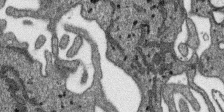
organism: Human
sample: Lung epithelial cells infected with SARS-CoV-2